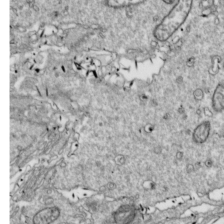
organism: Drosophila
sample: Cell division; meiosis; drosophila spermatocytes